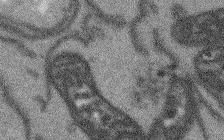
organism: Arabidopsis thaliana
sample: Root tip